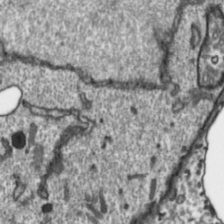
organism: Toxoplasma gondii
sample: Parasites in a vacuole inside a host cell